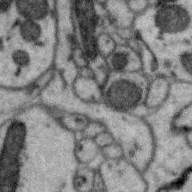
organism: Zebra finch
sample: Brain